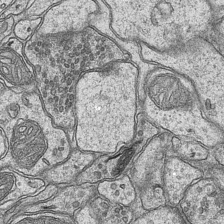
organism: Mouse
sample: CA1 Hippocampus